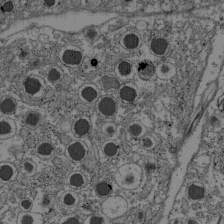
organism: C57BL Mouse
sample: Pancreatic islet